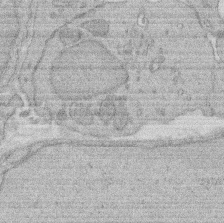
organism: Rat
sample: Salivary granule